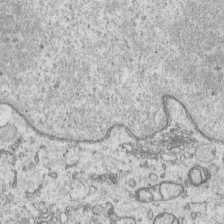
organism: Human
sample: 1205lu cells